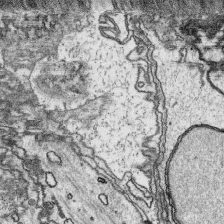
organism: Platynereis dumerilii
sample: Parapodia